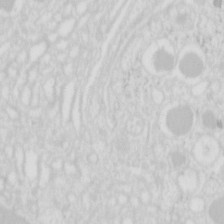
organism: Mouse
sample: Pancreas